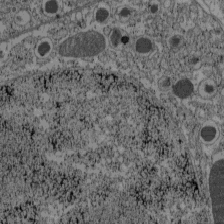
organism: C57BL Mouse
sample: Pancreatic islet